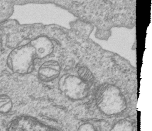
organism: Human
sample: MDA-MB-231 cells